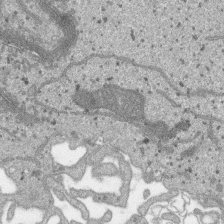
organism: Human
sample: Lung epithelial cells infected with SARS-CoV-2